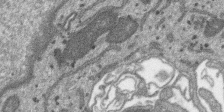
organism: Human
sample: Lung epithelial cells infected with SARS-CoV-2